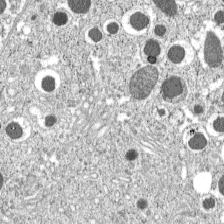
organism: C57BL Mouse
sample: Pancreatic islet